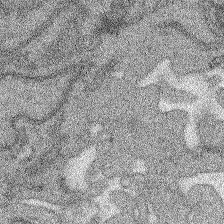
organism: Human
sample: HeLa cells